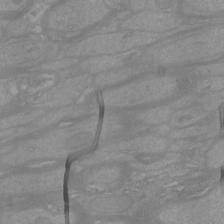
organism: Mouse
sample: Cortical neurons